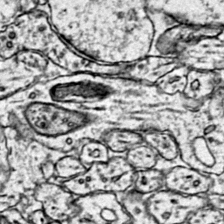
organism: Mouse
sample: Primary visual cortex